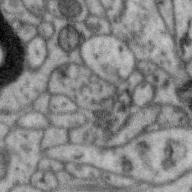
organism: Zebra finch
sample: Brain